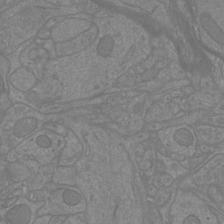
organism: Mouse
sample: Cortical neurons